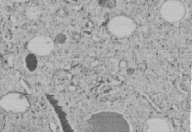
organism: C. elegans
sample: C. elegans embryo early stage